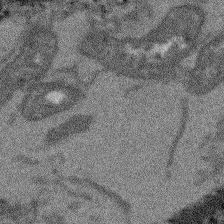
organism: Arabidopsis thaliana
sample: Root tip